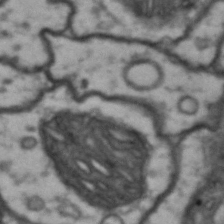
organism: Drosophila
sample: Brain